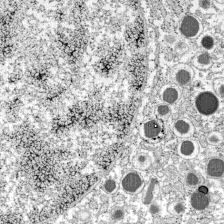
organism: C57BL Mouse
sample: Pancreatic islet